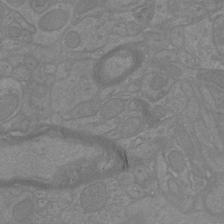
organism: Mouse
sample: Cortical neurons